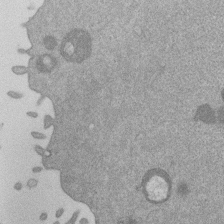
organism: Mouse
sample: Dividing mouse embryo 1 cell stage